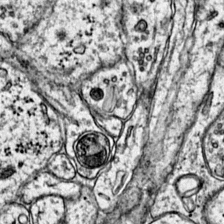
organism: Mouse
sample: Primary visual cortex